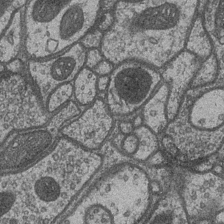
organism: Drosophila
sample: Optic medulla